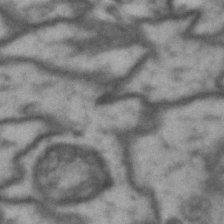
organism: Drosophila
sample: Brain